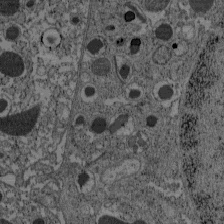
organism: C57BL Mouse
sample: Pancreatic islet